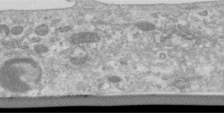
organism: Human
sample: Centriole in RPE cells